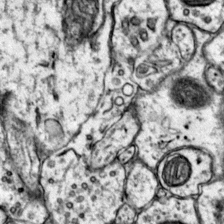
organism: Mouse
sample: Primary visual cortex